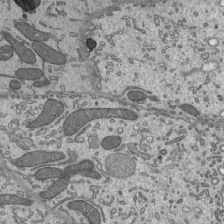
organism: Mouse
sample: Mouse epididymis efferent ductule cilia